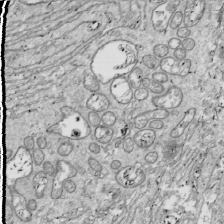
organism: Drosophila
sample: Cell division; meiosis; drosophila spermatocytes